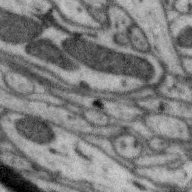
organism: Zebra finch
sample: Brain